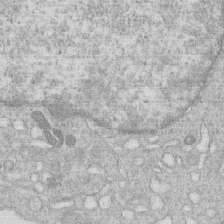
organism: Human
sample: Macrophage cells